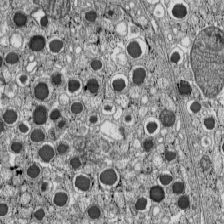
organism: C57BL Mouse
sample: Pancreatic islet